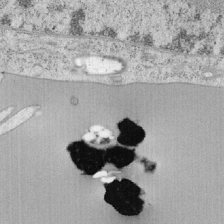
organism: Human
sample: HeLa cells